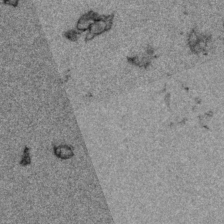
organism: P. pacificus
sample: Pharynx